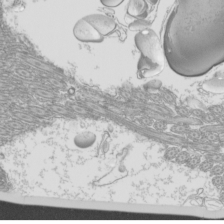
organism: Mouse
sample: Cilia; mouse epididymis